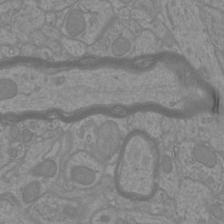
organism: Mouse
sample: Cortical neurons